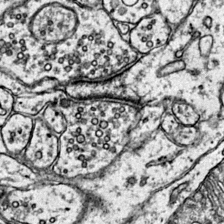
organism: Mouse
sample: Primary visual cortex